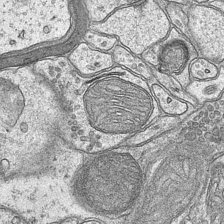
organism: Mouse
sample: CA1 Hippocampus